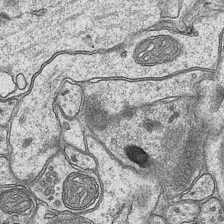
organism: Mouse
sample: CA1 Hippocampus